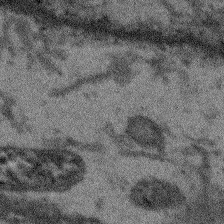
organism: Arabidopsis thaliana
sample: Root tip